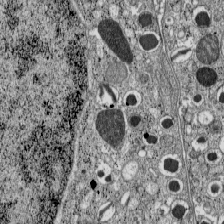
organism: C57BL Mouse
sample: Pancreatic islet